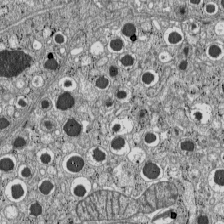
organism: C57BL Mouse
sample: Pancreatic islet